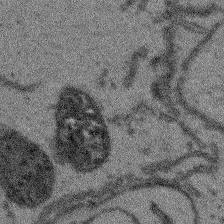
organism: Arabidopsis thaliana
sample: Root tip